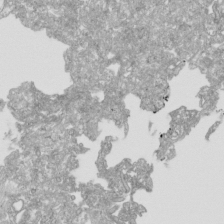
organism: Human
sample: Mitochondria in HCT116 cells